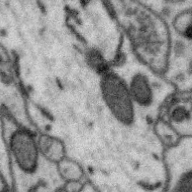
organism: Zebra finch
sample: Brain